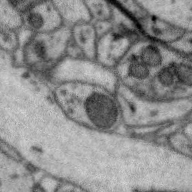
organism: Zebra finch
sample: Brain